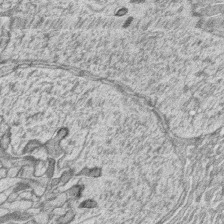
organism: Zebrafish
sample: synaptic ribbons in rod cells and cone cells